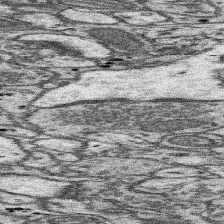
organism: Mouse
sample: Somatosensory cortex neuropil